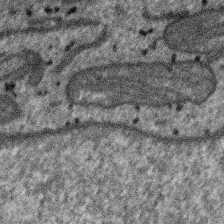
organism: Human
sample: Lung epithelial cells infected with SARS-CoV-2